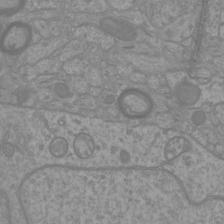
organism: Mouse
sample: Cortical neurons